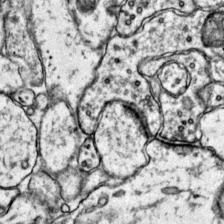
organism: Mouse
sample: Primary visual cortex